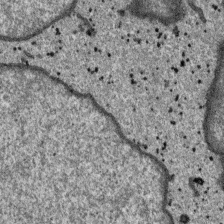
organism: Human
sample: Lung epithelial cells, uninfected (mock) control